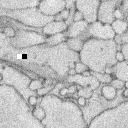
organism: Rabbit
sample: Retina